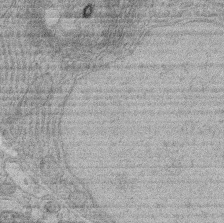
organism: Rat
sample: Salivary granule